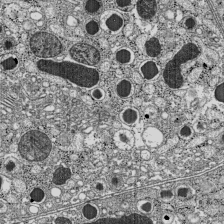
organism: C57BL Mouse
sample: Pancreatic islet